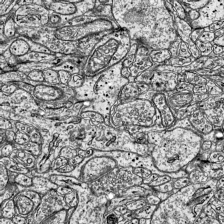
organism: Mouse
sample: Visual Cortex